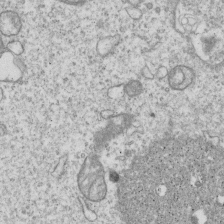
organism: Human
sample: MDA-MB-231 cells